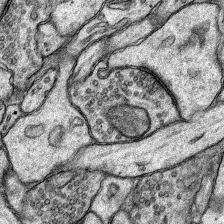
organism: Rat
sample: Hippocampus